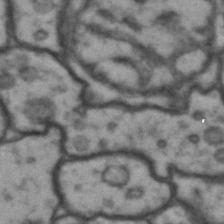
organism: Drosophila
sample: Brain